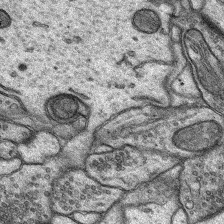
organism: Rat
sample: Hippocampus